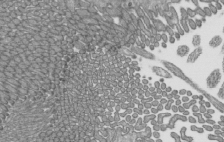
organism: Mouse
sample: Mouse epididymis efferent ductule cilia